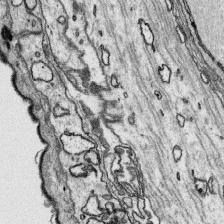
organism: Platynereis dumerilii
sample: Parapodia